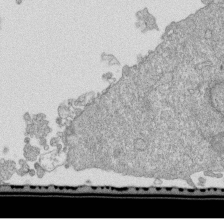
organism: Human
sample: HeLa cell HIV synapse